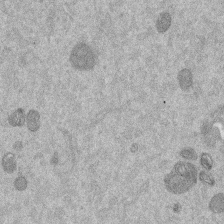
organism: Mouse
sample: Dividing mouse embryo 1 cell stage